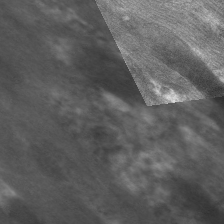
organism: C. elegans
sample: Pharynx